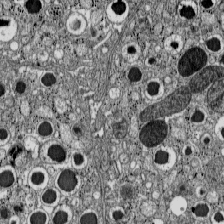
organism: C57BL Mouse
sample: Pancreatic islet